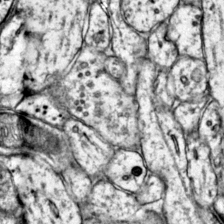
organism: Mouse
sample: Primary visual cortex